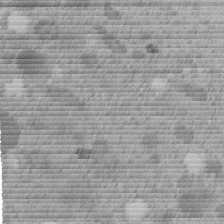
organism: C. elegans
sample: C. elegans embryo early stage